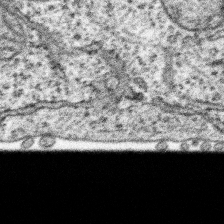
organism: Human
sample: HeLa cells